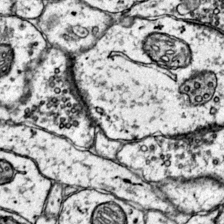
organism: Mouse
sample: Primary visual cortex